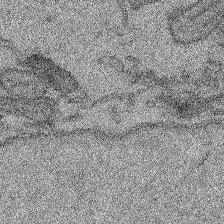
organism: Human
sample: HeLa cells